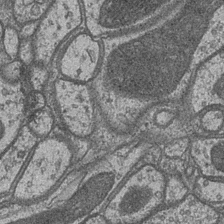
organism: Drosophila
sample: Optic medulla